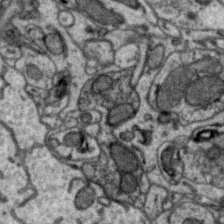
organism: Zebra finch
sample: Brain